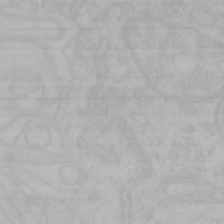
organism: Mouse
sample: Choroid plexus